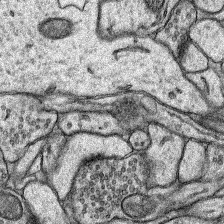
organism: Rat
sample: Hippocampus